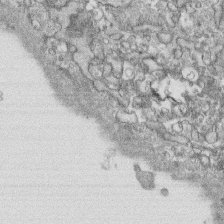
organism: Human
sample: CRL-1474